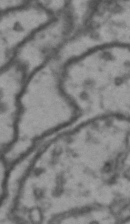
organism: Drosophila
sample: Brain